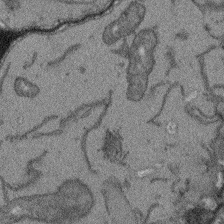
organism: Arabidopsis thaliana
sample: Root tip